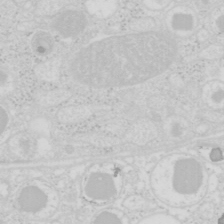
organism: Mouse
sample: Pancreas